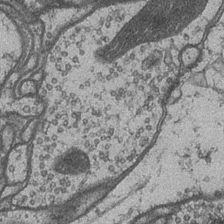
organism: Drosophila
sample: Optic medulla